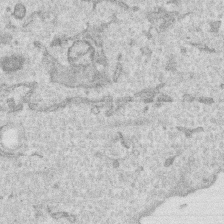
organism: Human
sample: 1205lu cells